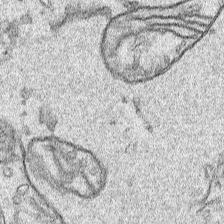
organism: Human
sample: Mitochondria in HCT116 cells